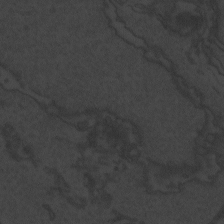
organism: Zebrafish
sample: Macrophage infected with Toxoplasma gondii